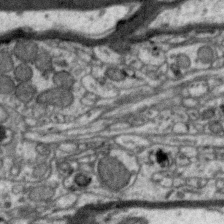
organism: Zebra finch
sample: Brain